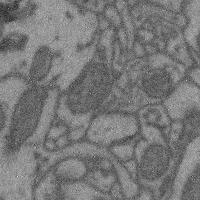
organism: Mouse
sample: Cerebral cortex